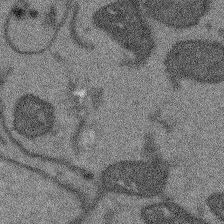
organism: Arabidopsis thaliana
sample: Root tip